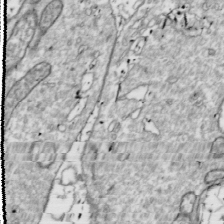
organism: Drosophila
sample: Cell division; meiosis; drosophila spermatocytes